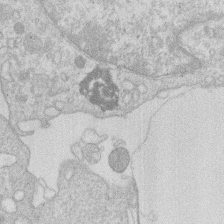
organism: Human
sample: Macrophage cells